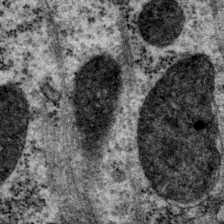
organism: P. pacificus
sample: Pharynx